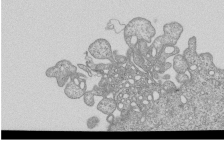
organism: Human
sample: MDA-MB-231 cells